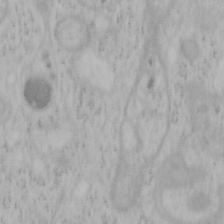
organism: Mouse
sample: OT-I killer T cells with ID8 ovarian cancer cells